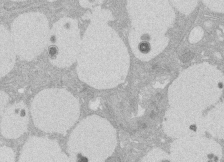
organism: Rat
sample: Salivary granule